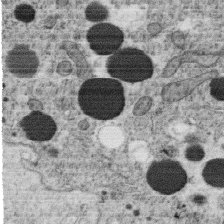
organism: C. elegans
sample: C. elegans oocyte; sperm cells